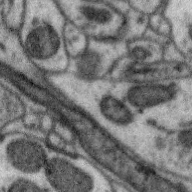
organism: Zebra finch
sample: Brain